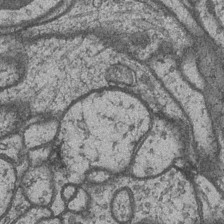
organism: Drosophila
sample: Optic medulla